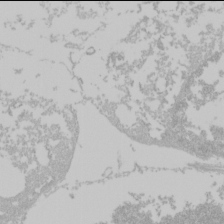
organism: Mouse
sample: Cancer cell death in ED-1 cells